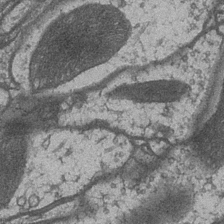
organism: Drosophila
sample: Optic medulla